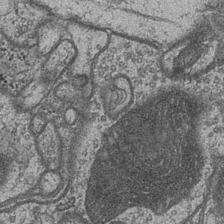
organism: Drosophila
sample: Optic medulla